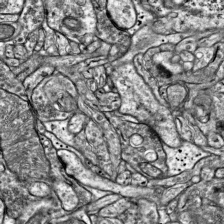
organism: Mouse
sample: Visual Cortex